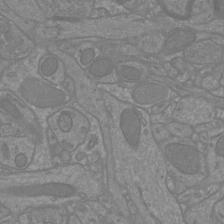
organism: Mouse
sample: Cortical neurons